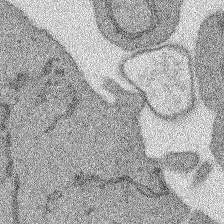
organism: Human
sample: HeLa cells